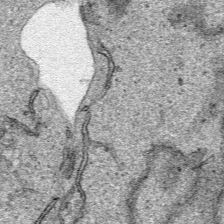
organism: Human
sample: Mitochondria in HCT116 cells